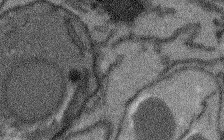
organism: Arabidopsis thaliana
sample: Root tip